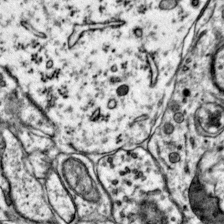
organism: Mouse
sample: Primary visual cortex